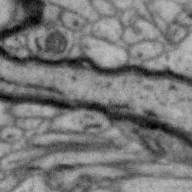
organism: Zebra finch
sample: Brain